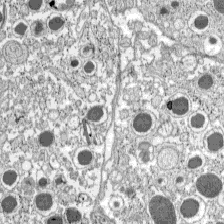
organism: C57BL Mouse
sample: Pancreatic islet